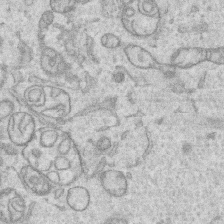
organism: Human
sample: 1205lu cells